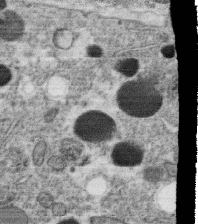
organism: C. elegans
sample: C. elegans oocyte; sperm cells